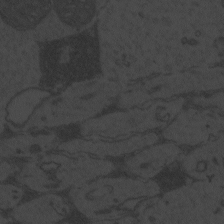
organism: Zebrafish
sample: Macrophage infected with Toxoplasma gondii